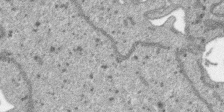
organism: Human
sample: Lung epithelial cells infected with SARS-CoV-2